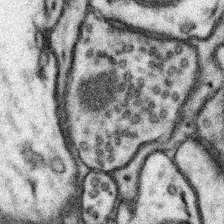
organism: Mouse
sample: Somatosensory cortex neuropil